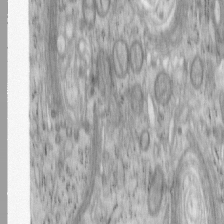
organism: Human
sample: HeLa cells